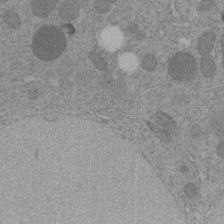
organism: C. elegans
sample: C. elegans embryo early stage